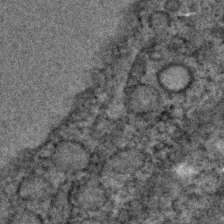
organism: C. elegans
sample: C. elegans embryo